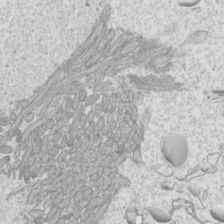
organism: Mouse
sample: Cilia; mouse epididymis